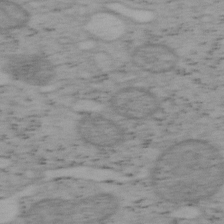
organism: Mouse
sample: OT-I killer T cells with ID8 ovarian cancer cells